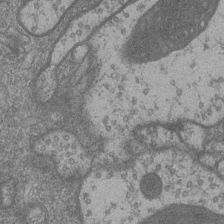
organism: Drosophila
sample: Optic medulla